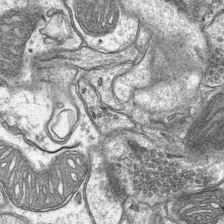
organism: Mouse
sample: CA1 Hippocampus